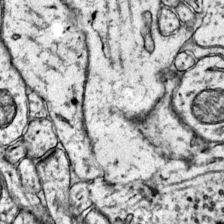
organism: Mouse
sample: Primary visual cortex